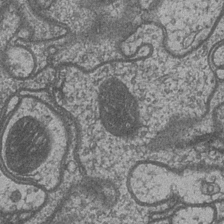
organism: Drosophila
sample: Optic medulla